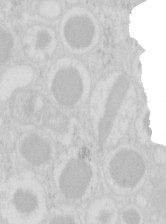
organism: Mouse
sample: Pancreas